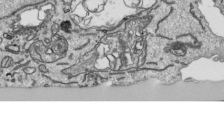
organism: Human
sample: Mitochondria in HCT116 cells